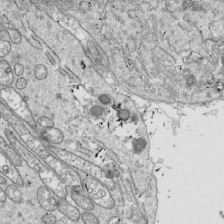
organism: Drosophila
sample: Cell division; meiosis; drosophila spermatocytes